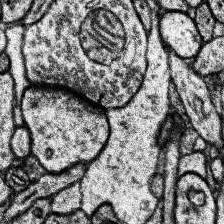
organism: Human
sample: Temporal Lobe